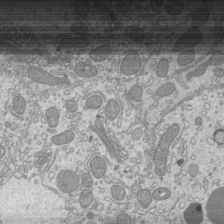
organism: Mouse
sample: Cilia; mouse epididymis